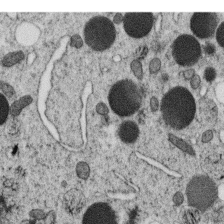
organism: C. elegans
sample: C. elegans oocyte; sperm cells